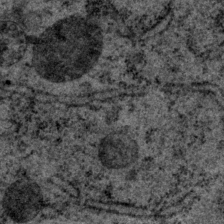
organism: P. pacificus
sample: Pharynx